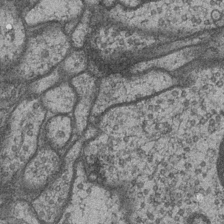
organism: Drosophila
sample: Optic medulla